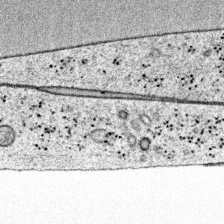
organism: Human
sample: HeLa cells